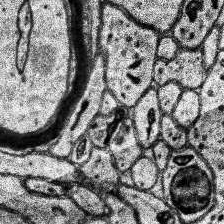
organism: Human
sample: Temporal Lobe